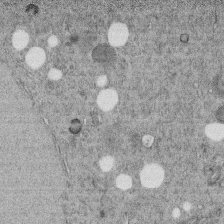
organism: C. elegans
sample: C. elegans embryo early stage